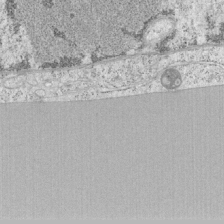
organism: Human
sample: HeLa cells